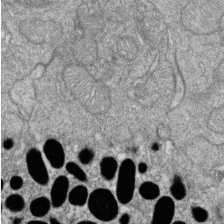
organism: Zebrafish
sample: Cilia; retinal pigment epithelium